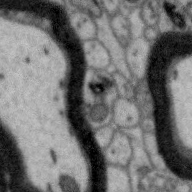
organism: Zebra finch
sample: Brain